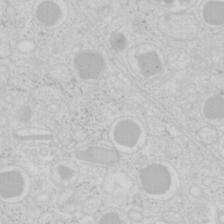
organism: Mouse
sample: Pancreas